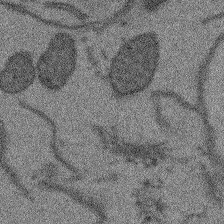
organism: Arabidopsis thaliana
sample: Root tip